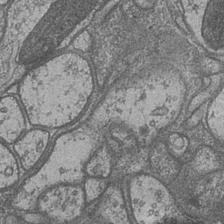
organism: Drosophila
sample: Optic medulla